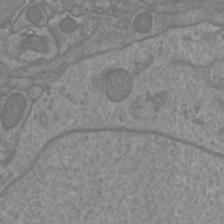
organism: Mouse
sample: Cortical neurons